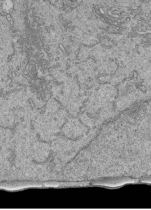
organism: Human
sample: Retinal organoid Rod and Cone cells